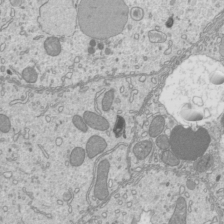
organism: Mouse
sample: Cilia; mouse epididymis